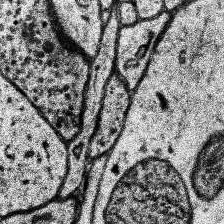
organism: Human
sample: Temporal Lobe